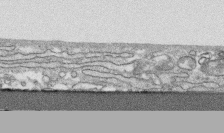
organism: Human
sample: CRL-1474